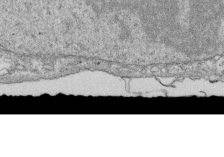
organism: Human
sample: HeLa cell HIV synapse